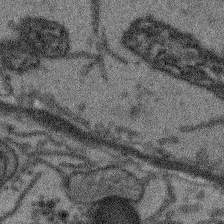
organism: Arabidopsis thaliana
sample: Root tip